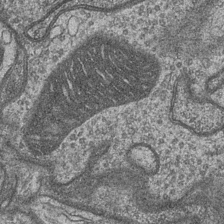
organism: Drosophila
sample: Optic medulla